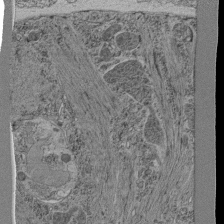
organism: C. elegans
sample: C. elegans pharynx